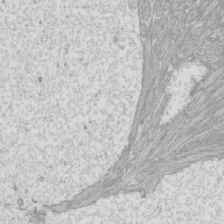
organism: Mouse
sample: Cilia; mouse epididymis